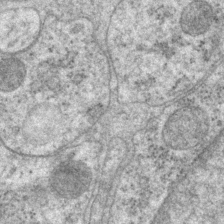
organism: P. pacificus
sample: Pharynx